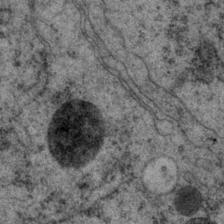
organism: P. pacificus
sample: Pharynx